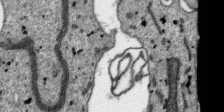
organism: Human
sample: Lung epithelial cells, uninfected (mock) control